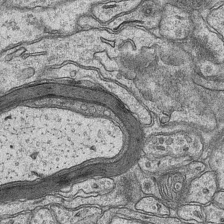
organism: Mouse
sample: CA1 Hippocampus